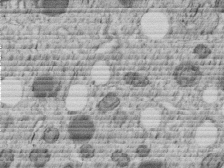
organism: C. elegans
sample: C. elegans embryo early stage